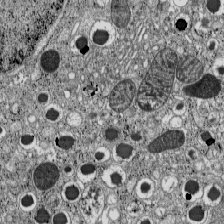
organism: C57BL Mouse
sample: Pancreatic islet